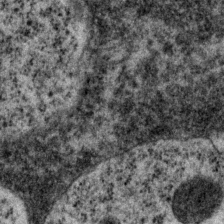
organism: P. pacificus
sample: Pharynx